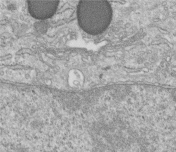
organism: Human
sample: Centriole in fibroblast cells